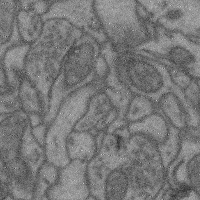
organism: Mouse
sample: Cerebral cortex